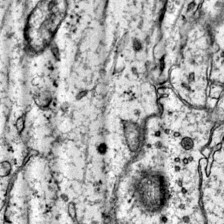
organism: Mouse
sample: Primary visual cortex